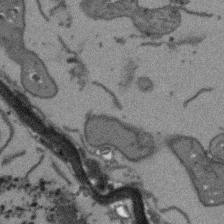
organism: Arabidopsis thaliana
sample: Root tip